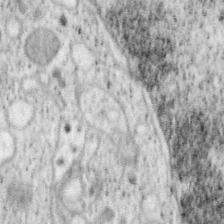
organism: Mouse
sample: OT-I killer T cells with ID8 ovarian cancer cells